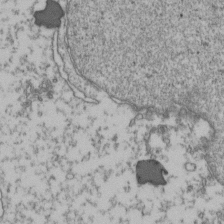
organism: Human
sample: Activated Jurkat CD4+ T cells